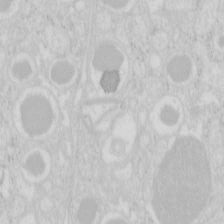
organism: Mouse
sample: Pancreas